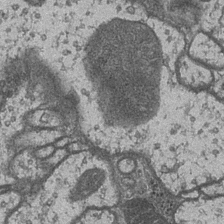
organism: Drosophila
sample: Optic medulla